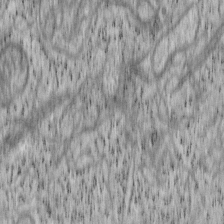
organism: Human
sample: HeLa cells